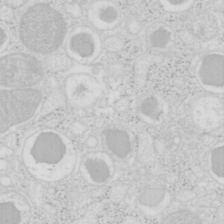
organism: Mouse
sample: Pancreas